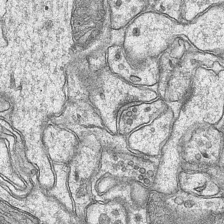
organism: Mouse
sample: CA1 Hippocampus